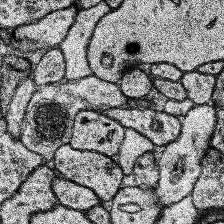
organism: Human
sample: Temporal Lobe